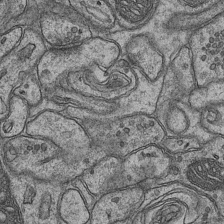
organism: Mouse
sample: CA1 Hippocampus